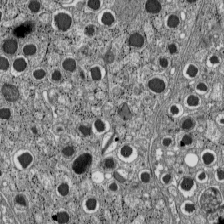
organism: C57BL Mouse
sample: Pancreatic islet